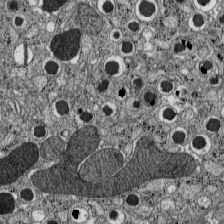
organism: C57BL Mouse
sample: Pancreatic islet